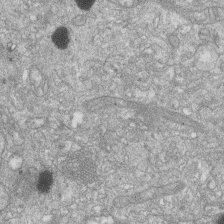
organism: Human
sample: HeLa cell HIV synapse